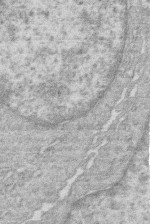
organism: Human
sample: Macrophage cells